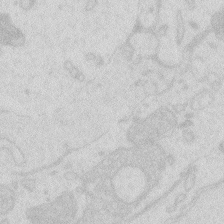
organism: Zebrafish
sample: Macrophage